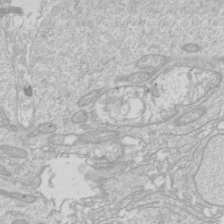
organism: Drosophila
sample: Cell division; meiosis; drosophila spermatocytes